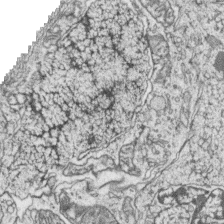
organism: Zebrafish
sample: synaptic ribbons in rod cells and cone cells